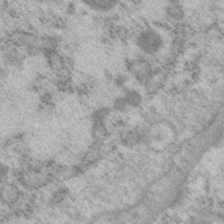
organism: P. pacificus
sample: Pharynx